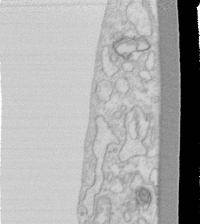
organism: Human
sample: Fibroblast cells